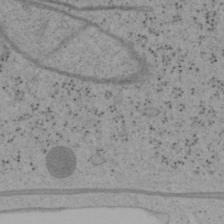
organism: Human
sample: HeLa cells